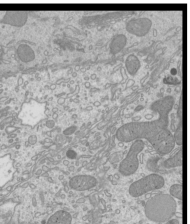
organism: Mouse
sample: Cilia; mouse epididymis